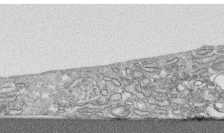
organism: Human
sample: CRL-1474